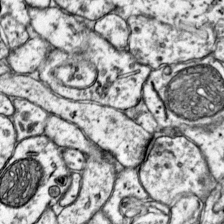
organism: Mouse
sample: Primary visual cortex